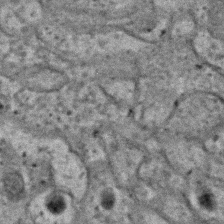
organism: C. elegans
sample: C. elegans embryo